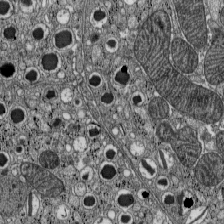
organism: C57BL Mouse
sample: Pancreatic islet